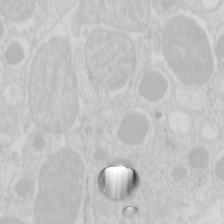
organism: Mouse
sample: Pancreas